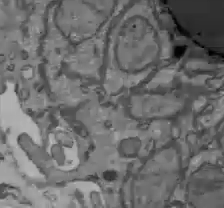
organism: C57BL Mouse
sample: Liver